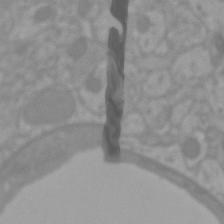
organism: Mouse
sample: Cortical neurons